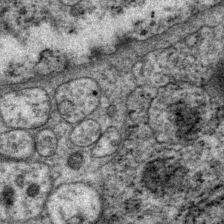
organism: P. pacificus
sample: Pharynx